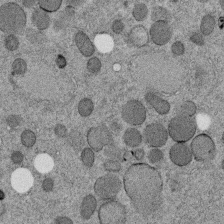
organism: C. elegans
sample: C. elegans embryo early stage